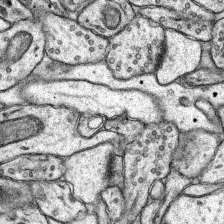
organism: Rat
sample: Hippocampus